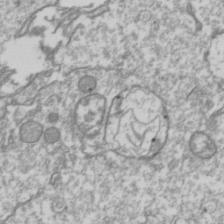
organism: Drosophila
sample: Cell division; meiosis; drosophila spermatocytes